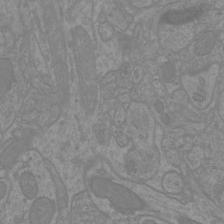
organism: Mouse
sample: Cortical neurons